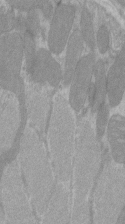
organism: C57BL Mouse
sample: Tibialis anterior muscle cell